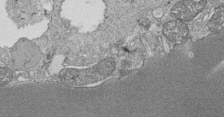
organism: Tetrahymena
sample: Cilia in tetrahymena